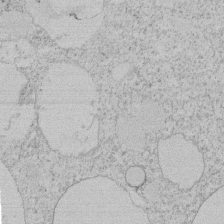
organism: Tetrahymena